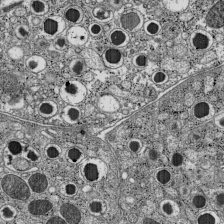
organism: C57BL Mouse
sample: Pancreatic islet